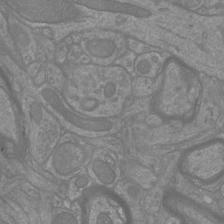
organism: Mouse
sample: Cortical neurons